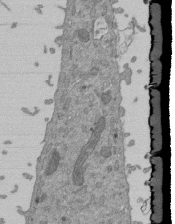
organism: Mouse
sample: ED-1 cell nuclei; centrioles